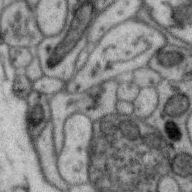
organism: Zebra finch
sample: Brain